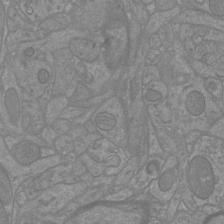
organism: Mouse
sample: Cortical neurons